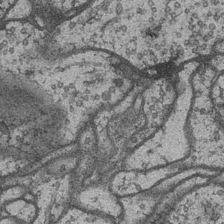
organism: Drosophila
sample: Optic medulla